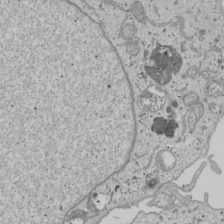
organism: Human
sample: Mitochondria in U2OS cells